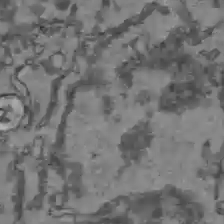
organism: C57BL Mouse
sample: Liver